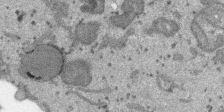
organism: Human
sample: Lung epithelial cells infected with SARS-CoV-2